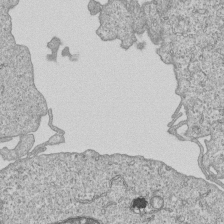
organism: Human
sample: MDA-MB-231 cells